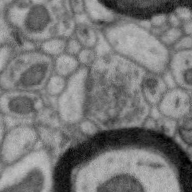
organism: Zebra finch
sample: Brain